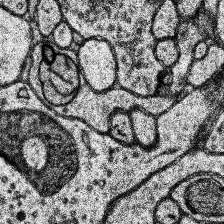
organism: Human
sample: Temporal Lobe